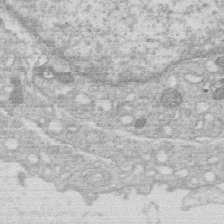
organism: Human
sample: Macrophage cells